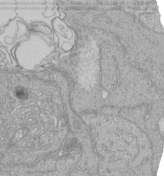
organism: Human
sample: Retinal organoid Rod and Cone cells